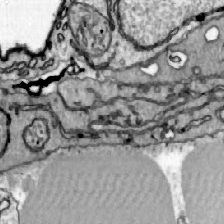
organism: Zebrafish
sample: Actinotrichia fibers